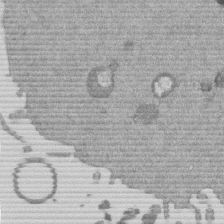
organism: Mouse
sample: Dividing mouse embryo 1 cell stage